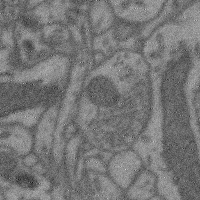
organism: Mouse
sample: Cerebral cortex